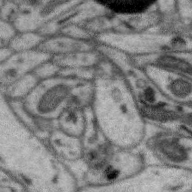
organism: Zebra finch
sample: Brain